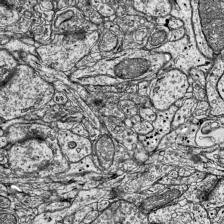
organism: Mouse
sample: Visual Cortex